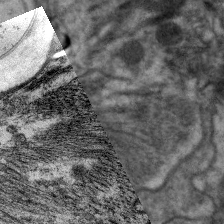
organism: C. elegans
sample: Pharynx